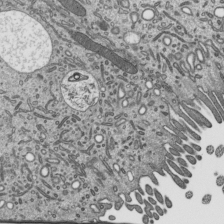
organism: Mouse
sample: Mouse epididymis efferent ductule cilia